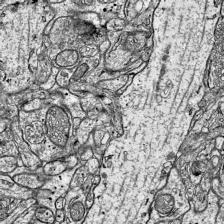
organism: Mouse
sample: Visual Cortex